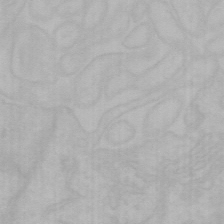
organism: Mouse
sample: Choroid plexus